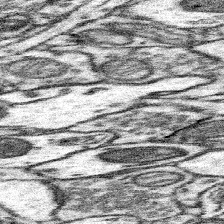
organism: Mouse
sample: Somatosensory cortex neuropil